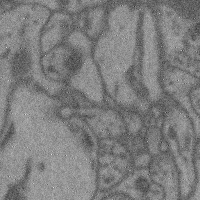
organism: Mouse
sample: Cerebral cortex